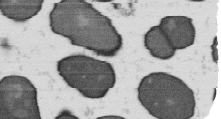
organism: B. subtilis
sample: Bacterial spore